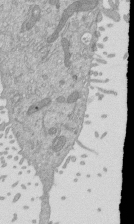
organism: Mouse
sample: ED-1 cell nuclei; centrioles